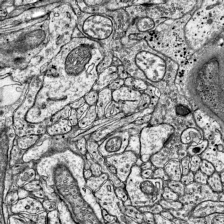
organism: Mouse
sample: Visual Cortex